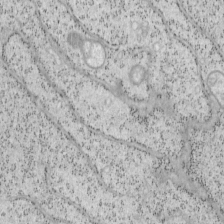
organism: Mouse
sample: OT-I killer T cells with ID8 ovarian cancer cells